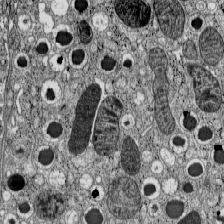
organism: C57BL Mouse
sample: Pancreatic islet